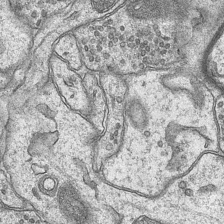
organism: Mouse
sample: CA1 Hippocampus